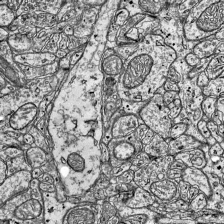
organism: Mouse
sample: Visual Cortex